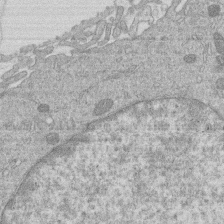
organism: Human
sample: Macrophage cells